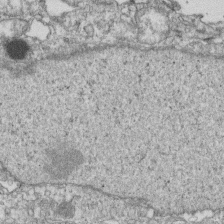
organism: Human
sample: HeLa cell HIV synapse